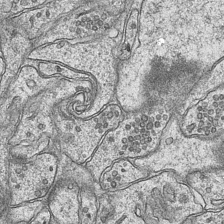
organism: Mouse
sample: CA1 Hippocampus